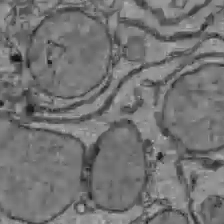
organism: C57BL Mouse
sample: Liver